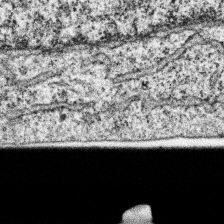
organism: Human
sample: HeLa cells